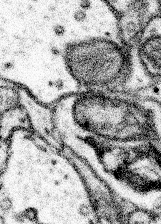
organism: Mouse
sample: Somatosensory cortex neuropil